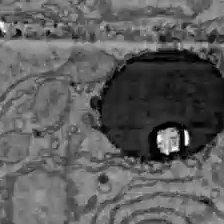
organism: C57BL Mouse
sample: Liver